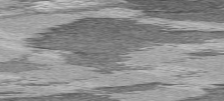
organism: C57BL Mouse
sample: Heart